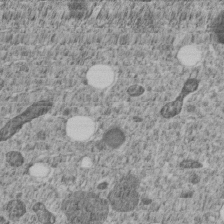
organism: C. elegans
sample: C. elegans embryo early stage